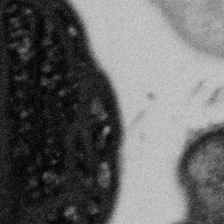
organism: Gemmata obscuriglobus